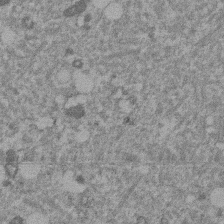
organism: Mouse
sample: Dividing mouse embryo 1 cell stage